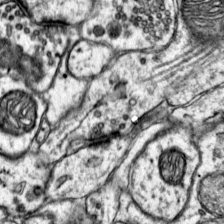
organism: Mouse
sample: Primary visual cortex